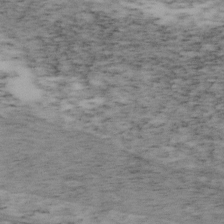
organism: Mouse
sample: OT-I killer T cells with ID8 ovarian cancer cells